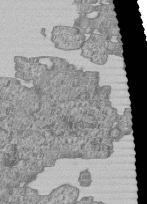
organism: Human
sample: MDA-MB-231 cells